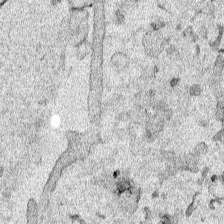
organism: Human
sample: Mitochondria in HCT116 cells